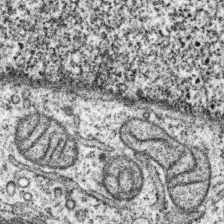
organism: Human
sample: HeLa cells